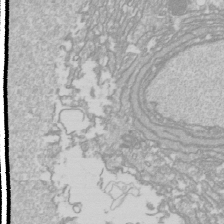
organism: Drosophila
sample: Cell division; meiosis; drosophila spermatocytes